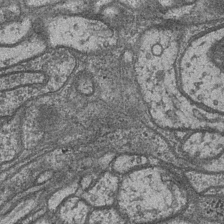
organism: Drosophila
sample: Optic medulla